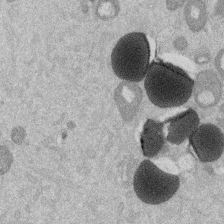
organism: Mouse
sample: Dividing mouse embryo 1 cell stage